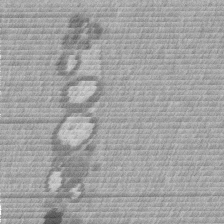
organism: Mouse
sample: Dividing mouse embryo 1 cell stage